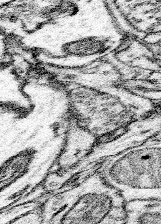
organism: Mouse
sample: Somatosensory cortex neuropil